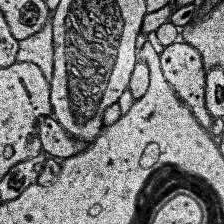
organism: Human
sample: Temporal Lobe